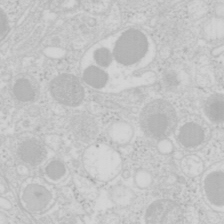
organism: Mouse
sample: Pancreas